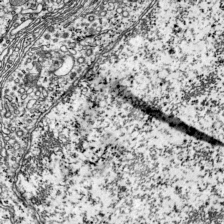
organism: Mouse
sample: Visual Cortex